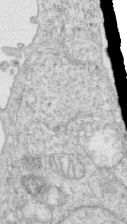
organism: Human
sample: HeLa cell HIV synapse